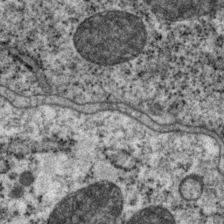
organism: P. pacificus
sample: Pharynx